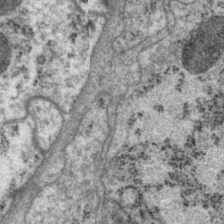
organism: P. pacificus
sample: Pharynx